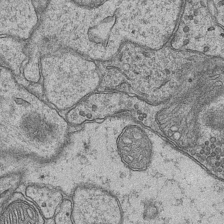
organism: Mouse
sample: CA1 Hippocampus